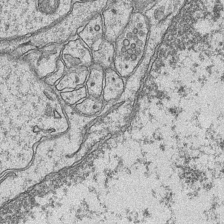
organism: Mouse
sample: CA1 Hippocampus